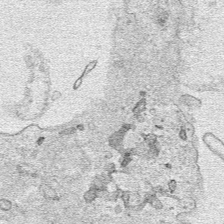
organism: Human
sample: Mitochondria in HCT116 cells